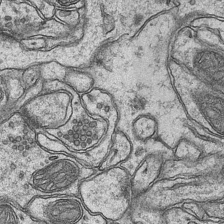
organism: Mouse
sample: CA1 Hippocampus